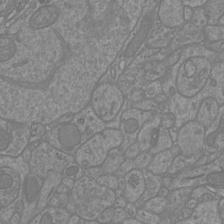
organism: Mouse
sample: Cortical neurons